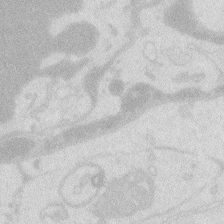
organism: Zebrafish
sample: Macrophage